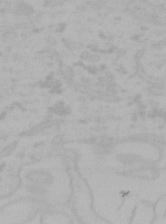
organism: Mouse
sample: Choroid plexus